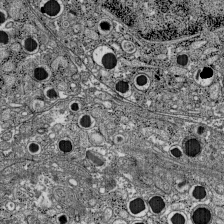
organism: C57BL Mouse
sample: Pancreatic islet